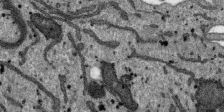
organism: Human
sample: Lung epithelial cells, uninfected (mock) control